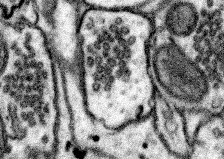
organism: Mouse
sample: Somatosensory cortex neuropil